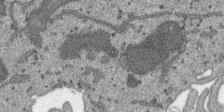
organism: Human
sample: Lung epithelial cells infected with SARS-CoV-2